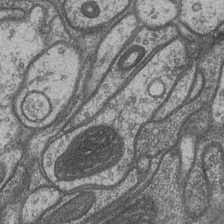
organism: Drosophila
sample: Optic medulla